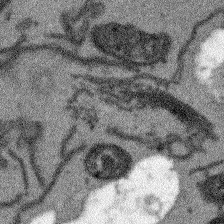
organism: Arabidopsis thaliana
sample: Root tip